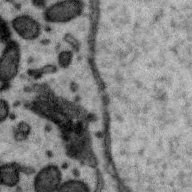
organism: Zebra finch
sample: Brain